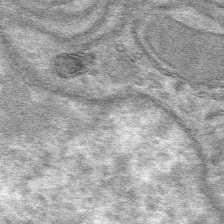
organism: Mouse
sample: Mouse hepatocytes